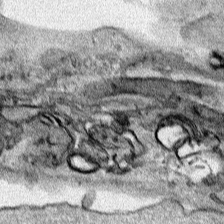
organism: Human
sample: Mitochondria in HCT116 cells